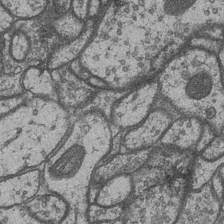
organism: Drosophila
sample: Optic medulla